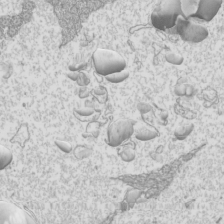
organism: Mouse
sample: Cilia; mouse epididymis